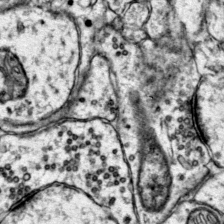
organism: Mouse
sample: Primary visual cortex